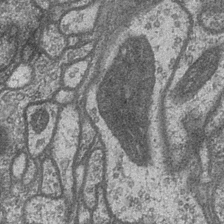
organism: Drosophila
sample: Optic medulla